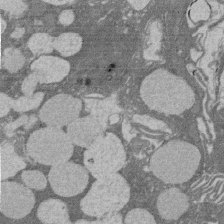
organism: Rat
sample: Salivary granule